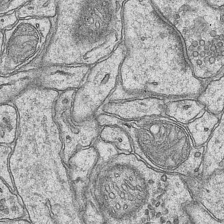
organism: Mouse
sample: CA1 Hippocampus